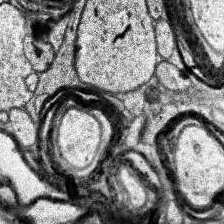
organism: Human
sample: Temporal Lobe